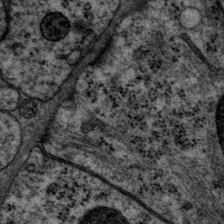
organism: P. pacificus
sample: Pharynx